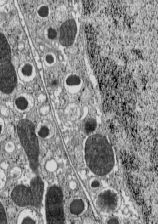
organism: C57BL Mouse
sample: Pancreatic islet